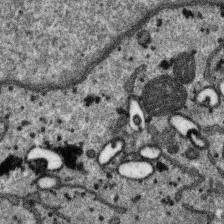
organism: Human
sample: Lung epithelial cells infected with SARS-CoV-2